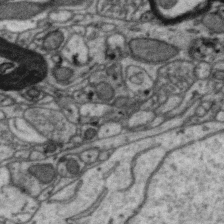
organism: Zebra finch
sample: Brain